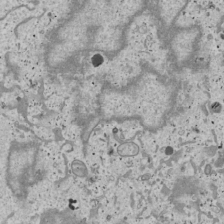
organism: Human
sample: Mitochondria in U2OS cells